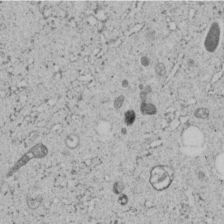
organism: C. elegans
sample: C. elegans embryo early stage